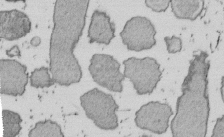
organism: E. coli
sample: Bacterial nucleoid